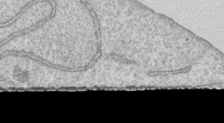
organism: Human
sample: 1205lu cells